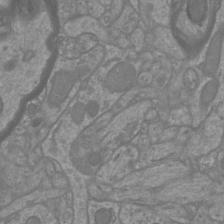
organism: Mouse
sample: Cortical neurons